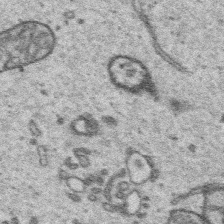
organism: Platynereis dumerilii